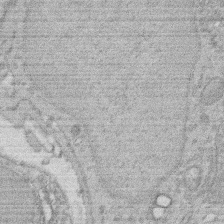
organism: Rat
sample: Salivary granule